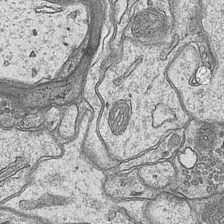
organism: Mouse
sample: CA1 Hippocampus